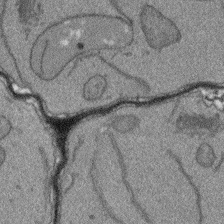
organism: Arabidopsis thaliana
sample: Root tip